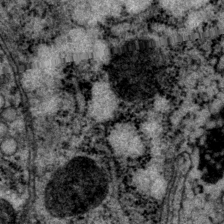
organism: P. pacificus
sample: Pharynx